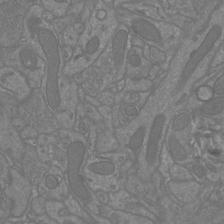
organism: Mouse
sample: Cortical neurons